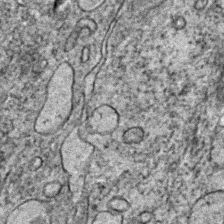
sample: Trachea